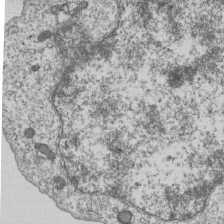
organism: Human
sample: MDA-MB-231 cells